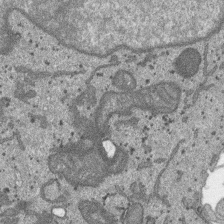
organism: Human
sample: Lung epithelial cells infected with SARS-CoV-2